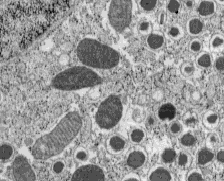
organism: C57BL Mouse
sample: Pancreatic islet